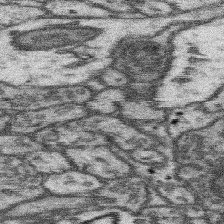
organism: Mouse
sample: Somatosensory cortex neuropil